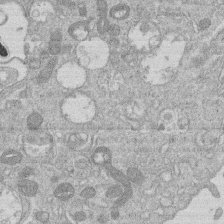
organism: Human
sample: Macrophage cells